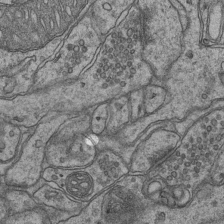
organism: Mouse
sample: CA1 Hippocampus